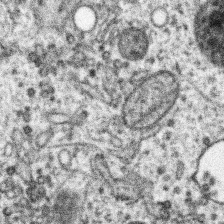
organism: Human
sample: HeLa cells